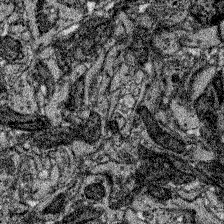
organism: Zebrafish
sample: Larval olfactory bulb